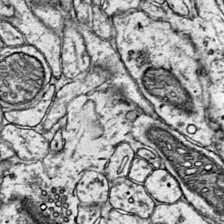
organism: Mouse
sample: Primary visual cortex